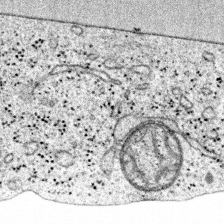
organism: Human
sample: HeLa cells